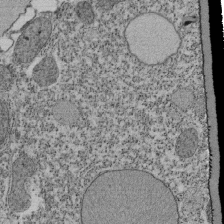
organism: Tetrahymena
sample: Cilia in tetrahymena